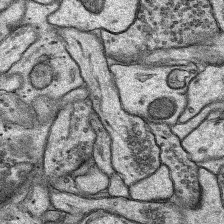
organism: Rat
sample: Hippocampus